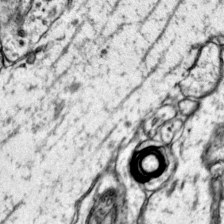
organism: Mouse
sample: Primary visual cortex